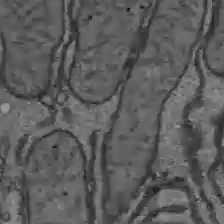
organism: C57BL Mouse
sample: Liver